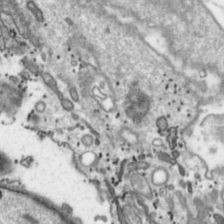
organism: Toxoplasma gondii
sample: Parasites in a vacuole inside a host cell